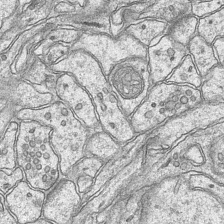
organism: Mouse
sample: CA1 Hippocampus